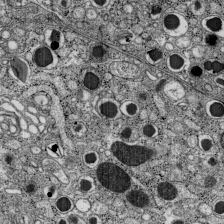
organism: C57BL Mouse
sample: Pancreatic islet